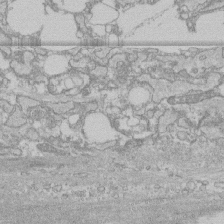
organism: Human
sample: CRL-1474